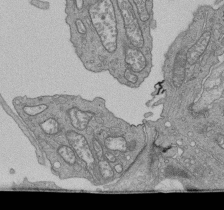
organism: Human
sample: Retinal organoid Rod and Cone cells